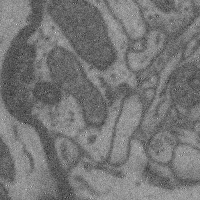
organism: Mouse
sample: Cerebral cortex